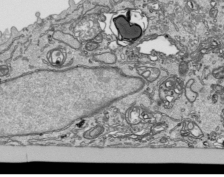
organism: Human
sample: Mitochondria in HCT116 cells